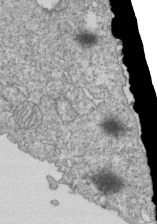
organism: Human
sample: HeLa cell HIV synapse